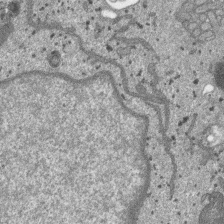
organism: Human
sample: Lung epithelial cells infected with SARS-CoV-2